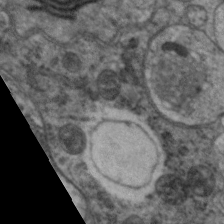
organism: C. elegans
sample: Pharynx